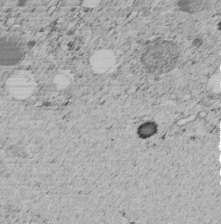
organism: C. elegans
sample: C. elegans embryo early stage